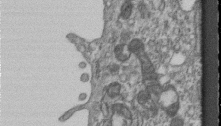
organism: Mouse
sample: Centriole in ependymal cells